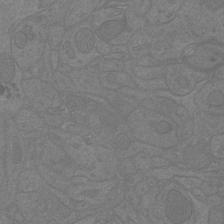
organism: Mouse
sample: Cortical neurons